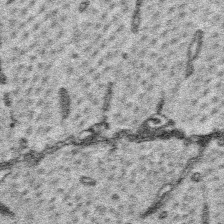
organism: Platynereis dumerilii